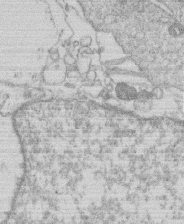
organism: Human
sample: Macrophage cells